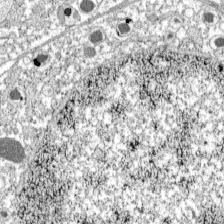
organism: C57BL Mouse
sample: Pancreatic islet